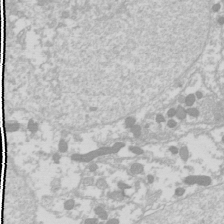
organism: Drosophila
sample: Cell division; meiosis; drosophila spermatocytes